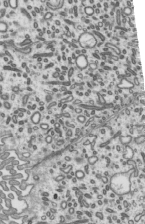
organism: Mouse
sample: Mouse epididymis efferent ductule cilia